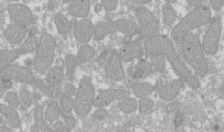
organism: Xenopus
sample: Cilia; centrioles in frog embryo cells